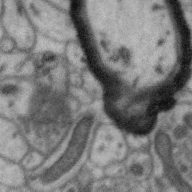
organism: Zebra finch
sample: Brain